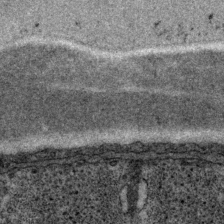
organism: P. pacificus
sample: Pharynx